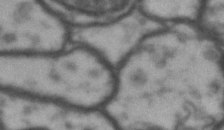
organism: Drosophila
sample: Brain